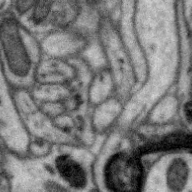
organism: Zebra finch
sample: Brain